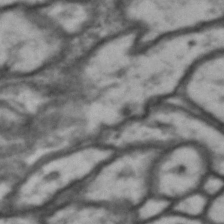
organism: Drosophila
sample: Brain